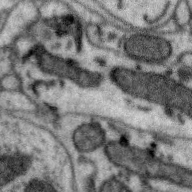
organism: Zebra finch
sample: Brain